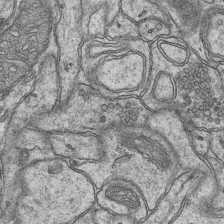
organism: Mouse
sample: CA1 Hippocampus